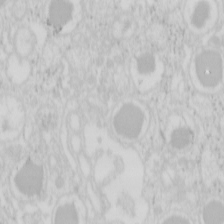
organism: Mouse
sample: Pancreas